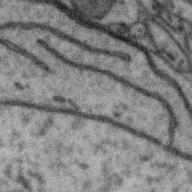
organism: Zebra finch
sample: Brain